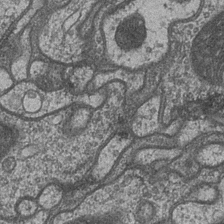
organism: Drosophila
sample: Optic medulla